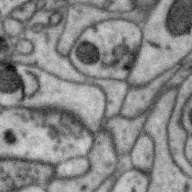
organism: Zebra finch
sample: Brain